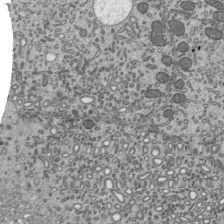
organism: Mouse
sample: Mouse epididymis efferent ductule cilia